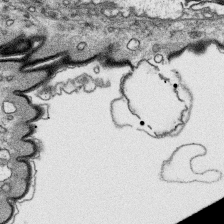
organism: Platynereis dumerilii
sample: Parapodia